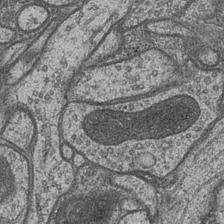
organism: Drosophila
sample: Optic medulla